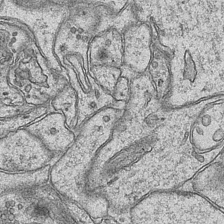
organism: Mouse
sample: CA1 Hippocampus